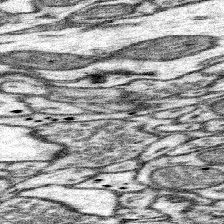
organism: Mouse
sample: Somatosensory cortex neuropil